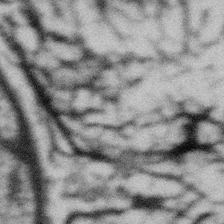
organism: Gemmata obscuriglobus